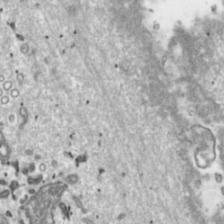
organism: Toxoplasma gondii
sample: Parasites in a vacuole inside a host cell